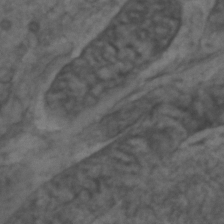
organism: Zebrafish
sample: Zebrafish embryo